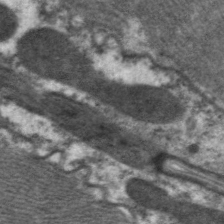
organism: C. elegans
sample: Pharynx